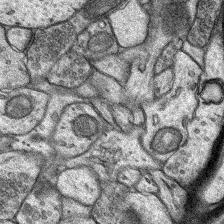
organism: Rat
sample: Hippocampus